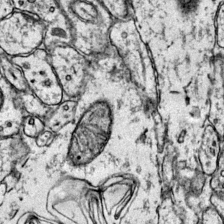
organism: Mouse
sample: Primary visual cortex